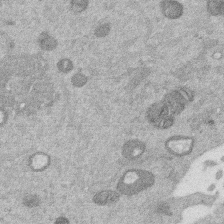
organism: Mouse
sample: Dividing mouse embryo 1 cell stage